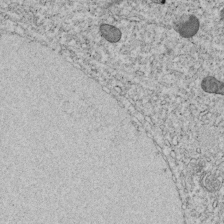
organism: C. elegans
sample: C. elegans embryo early stage